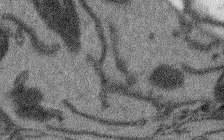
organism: Arabidopsis thaliana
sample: Root tip